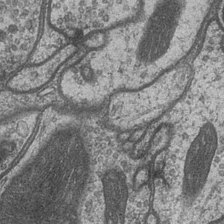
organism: Drosophila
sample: Optic medulla